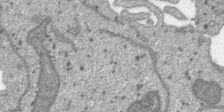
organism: Human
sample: Lung epithelial cells infected with SARS-CoV-2